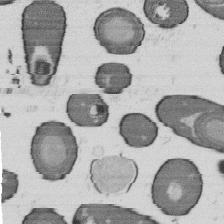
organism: B. subtilis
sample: Bacterial spore